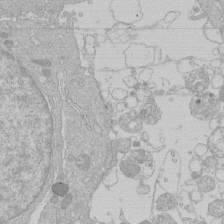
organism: Human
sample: Macrophage cells